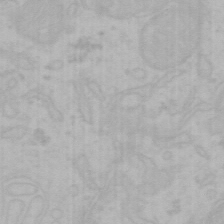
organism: Mouse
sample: Choroid plexus